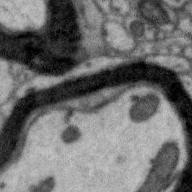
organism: Zebra finch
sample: Brain